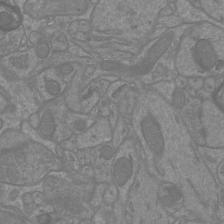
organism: Mouse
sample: Cortical neurons